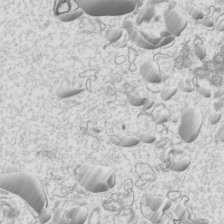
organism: Mouse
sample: Cilia; mouse epididymis